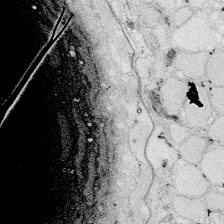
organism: Zebrafish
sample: Whole-Brain